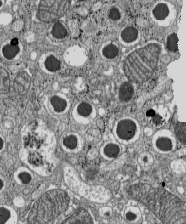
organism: C57BL Mouse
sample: Pancreatic islet